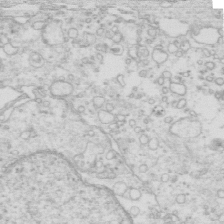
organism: Mouse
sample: Multiciliated cells